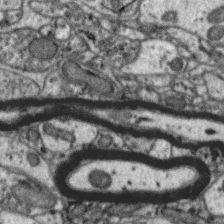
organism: Zebra finch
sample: Brain